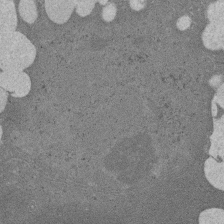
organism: Rat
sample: Salivary granule